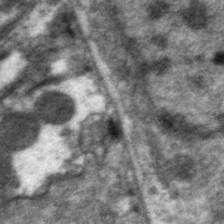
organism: C. elegans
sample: Pharynx